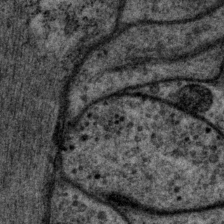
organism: P. pacificus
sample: Pharynx